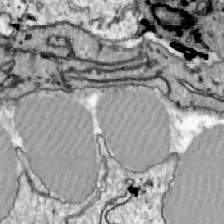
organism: Zebrafish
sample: Actinotrichia fibers